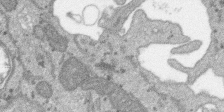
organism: Human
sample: Lung epithelial cells infected with SARS-CoV-2